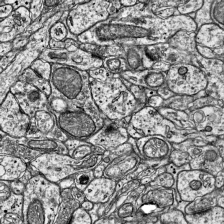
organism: Mouse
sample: Visual Cortex